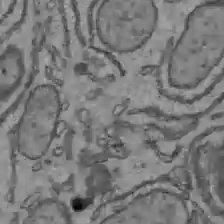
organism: C57BL Mouse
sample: Liver